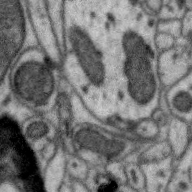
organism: Zebra finch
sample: Brain